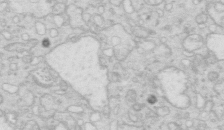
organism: Mouse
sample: Multiciliated cells